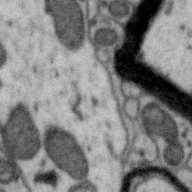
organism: Zebra finch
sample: Brain